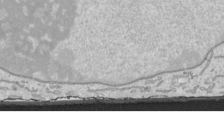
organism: Human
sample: Mitochondria in HCT116 cells